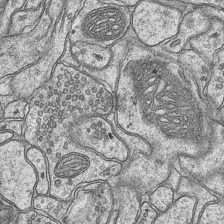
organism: Mouse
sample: CA1 Hippocampus